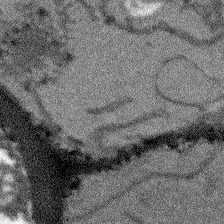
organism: Arabidopsis thaliana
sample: Root tip